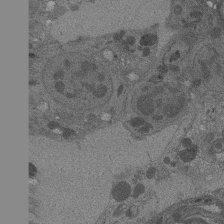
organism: Drosophila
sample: Antenna